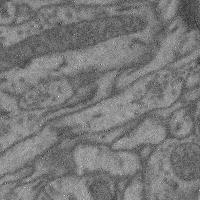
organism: Mouse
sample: Cerebral cortex